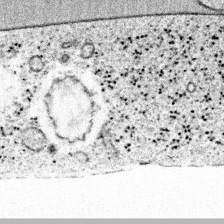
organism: Human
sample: HeLa cells